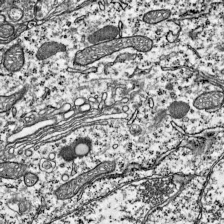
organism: Mouse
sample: Visual Cortex